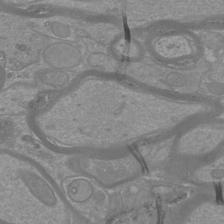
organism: Mouse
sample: Cortical neurons